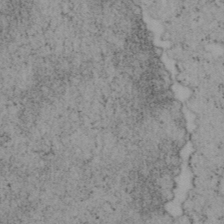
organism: Mouse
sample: OT-I killer T cells with ID8 ovarian cancer cells